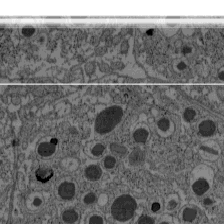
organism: C57BL Mouse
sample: Pancreatic islet